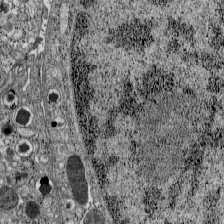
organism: C57BL Mouse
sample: Pancreatic islet